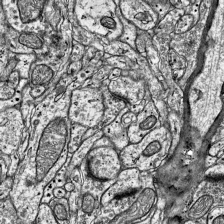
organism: Mouse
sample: Visual Cortex